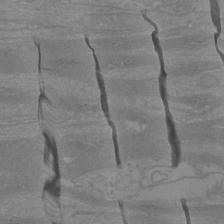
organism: Mouse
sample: Cortical neurons